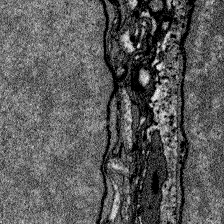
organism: Zebrafish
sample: Larval olfactory bulb